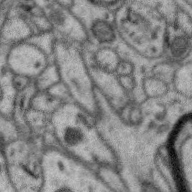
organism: Zebra finch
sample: Brain